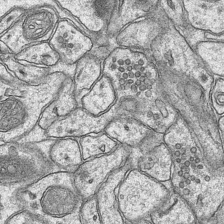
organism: Mouse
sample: CA1 Hippocampus